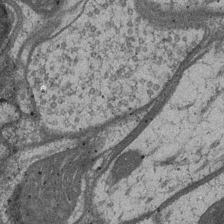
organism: Drosophila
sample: Optic medulla